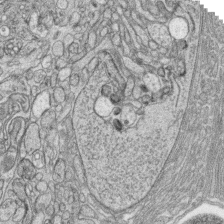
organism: Zebrafish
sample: synaptic ribbons in rod cells and cone cells